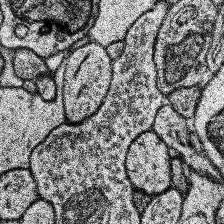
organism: Human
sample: Temporal Lobe